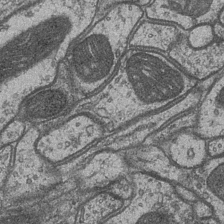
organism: Drosophila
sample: Optic medulla